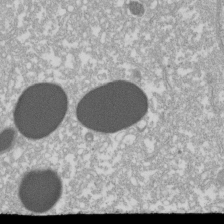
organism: Xenopus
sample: Cilia; centrioles in frog embryo cells